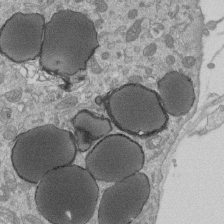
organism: Mouse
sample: ED-1 cell nuclei; centrioles